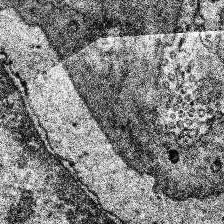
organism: Human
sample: Temporal Lobe